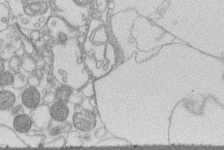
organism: Human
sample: Macrophage cells